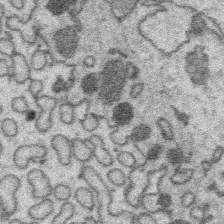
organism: Platynereis dumerilii